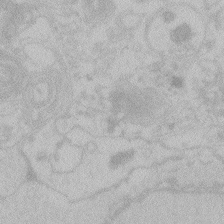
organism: Zebrafish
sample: Macrophage infected with Toxoplasma gondii